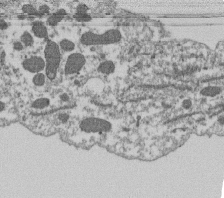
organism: Dictyostelium discoideum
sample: Dictyostelium multivesicular bodies